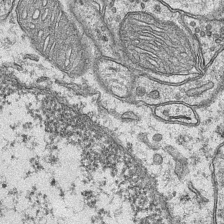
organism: Mouse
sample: CA1 Hippocampus